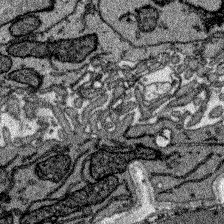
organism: Zebrafish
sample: Larval olfactory bulb